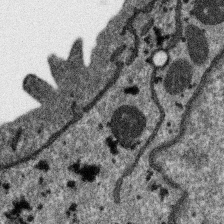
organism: Human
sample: Lung epithelial cells infected with SARS-CoV-2